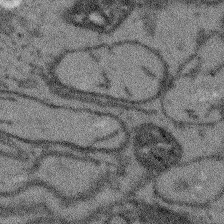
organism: Arabidopsis thaliana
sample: Root tip